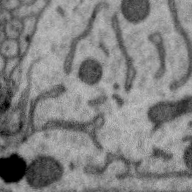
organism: Zebra finch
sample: Brain